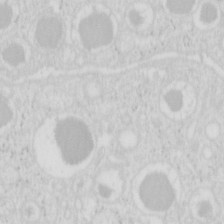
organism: Mouse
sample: Pancreas